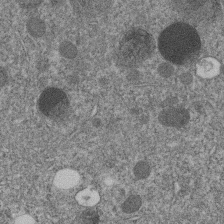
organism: C. elegans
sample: C. elegans embryo early stage